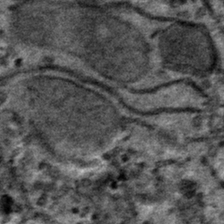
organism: Mouse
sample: Mouse hepatocytes